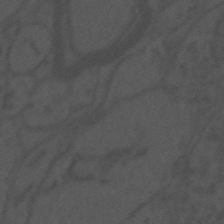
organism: Mouse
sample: Suprachiasmatic nucleus